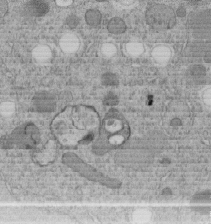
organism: C. elegans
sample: C. elegans embryo early stage